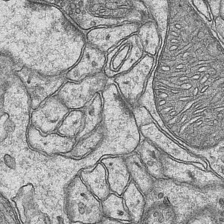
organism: Mouse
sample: CA1 Hippocampus